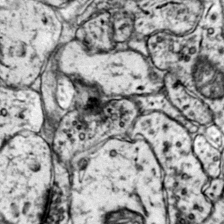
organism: Mouse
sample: Primary visual cortex